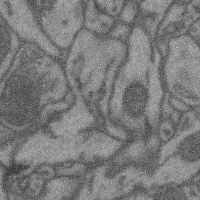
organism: Mouse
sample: Cerebral cortex